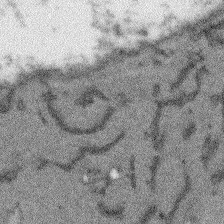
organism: Arabidopsis thaliana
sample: Root tip